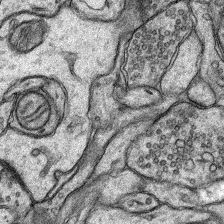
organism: Rat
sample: Hippocampus